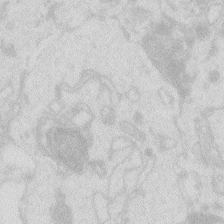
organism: Zebrafish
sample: Macrophage